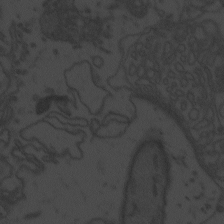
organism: Zebrafish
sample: Macrophage infected with Toxoplasma gondii